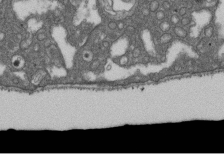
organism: Drosophila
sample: Nephrocyte